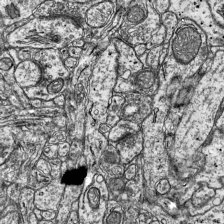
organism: Mouse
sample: Visual Cortex